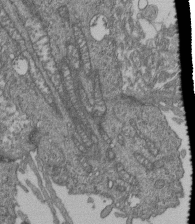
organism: Human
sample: Retinal organoid Rod and Cone cells